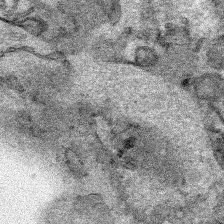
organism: Human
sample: Mitochondria in HCT116 cells